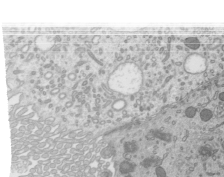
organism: Mouse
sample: Mouse epididymis efferent ductule cilia